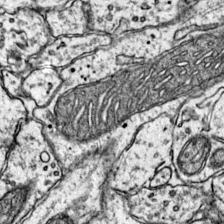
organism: Mouse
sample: Primary visual cortex